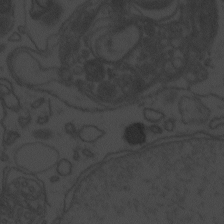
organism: Zebrafish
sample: Macrophage infected with Toxoplasma gondii